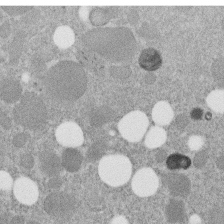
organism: C. elegans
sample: C. elegans embryo early stage